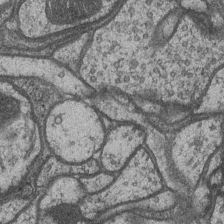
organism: Drosophila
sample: Optic medulla